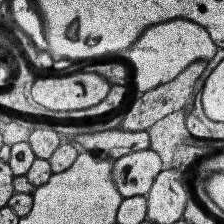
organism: Human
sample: Temporal Lobe